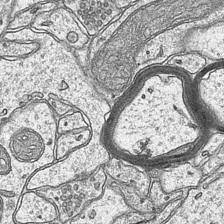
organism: Mouse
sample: CA1 Hippocampus